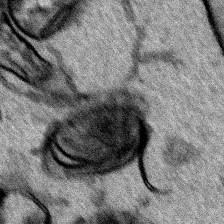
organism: Human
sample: Mitochondria in HCT116 cells